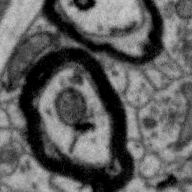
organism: Zebra finch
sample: Brain